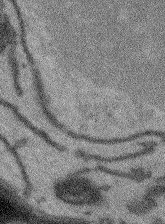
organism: Arabidopsis thaliana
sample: Root tip